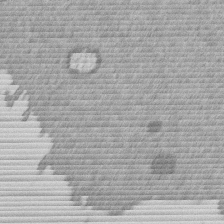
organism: Mouse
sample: Dividing mouse embryo 1 cell stage